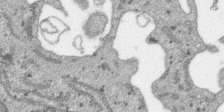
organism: Human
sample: Lung epithelial cells infected with SARS-CoV-2